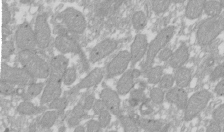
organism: Xenopus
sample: Cilia; centrioles in frog embryo cells